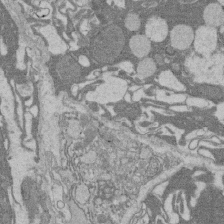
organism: Rat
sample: Salivary granule